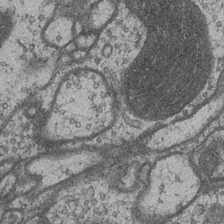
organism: Drosophila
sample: Optic medulla